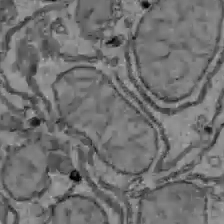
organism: C57BL Mouse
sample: Liver